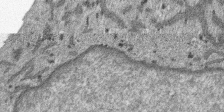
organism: Human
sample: Lung epithelial cells infected with SARS-CoV-2